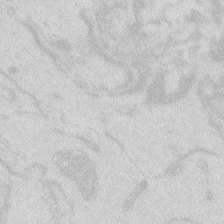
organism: Zebrafish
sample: Macrophage